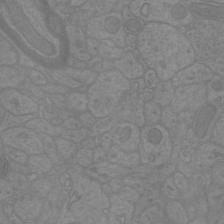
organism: Mouse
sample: Cortical neurons